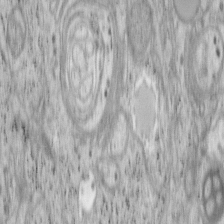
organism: Human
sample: HeLa cells